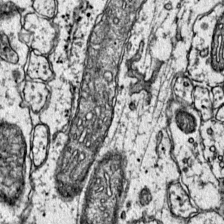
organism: Mouse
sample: Primary visual cortex